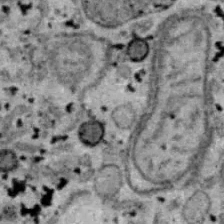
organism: Mouse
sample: Liver from an obese (ob/ob) mouse